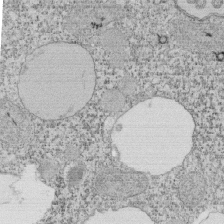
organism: Tetrahymena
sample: Cilia in tetrahymena